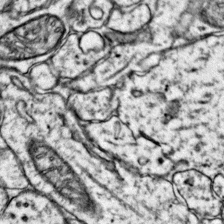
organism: Mouse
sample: Primary visual cortex